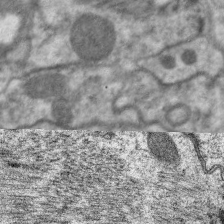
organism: C. elegans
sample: Pharynx